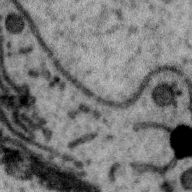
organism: Zebra finch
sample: Brain